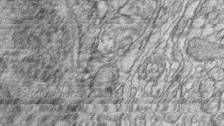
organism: Zebrafish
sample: synaptic ribbons in rod cells and cone cells